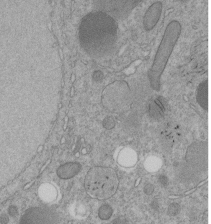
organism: C. elegans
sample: C. elegans embryo early stage